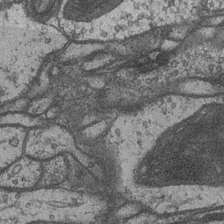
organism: Drosophila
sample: Optic medulla